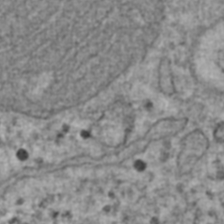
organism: Human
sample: Blood